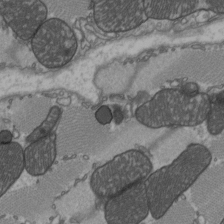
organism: C57BL Mouse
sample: Heart